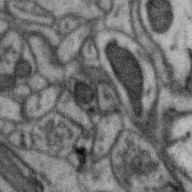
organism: Zebra finch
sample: Brain